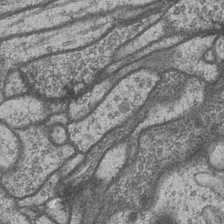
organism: Drosophila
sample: Optic medulla